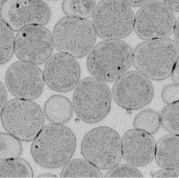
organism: E. coli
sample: Bacterial nucleoid